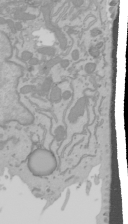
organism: Mouse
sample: Cancer cell death in ED-1 cells